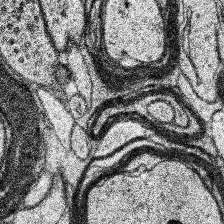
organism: Human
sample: Temporal Lobe